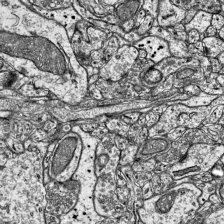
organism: Mouse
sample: Visual Cortex